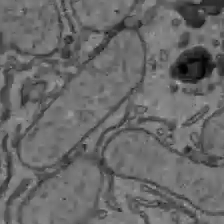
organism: C57BL Mouse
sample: Liver